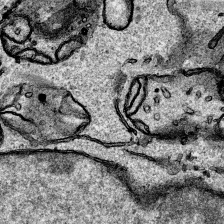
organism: Human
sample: Mitochondria in HCT116 cells